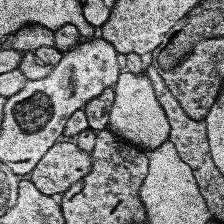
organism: Human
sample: Temporal Lobe